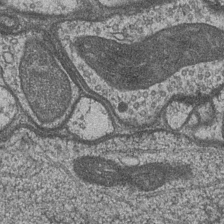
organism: Drosophila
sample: Optic medulla